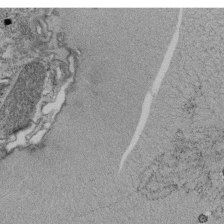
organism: Tetrahymena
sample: Cilia in tetrahymena